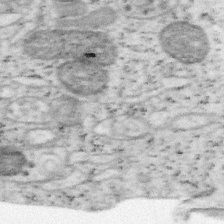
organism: Mouse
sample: OT-I killer T cells with ID8 ovarian cancer cells